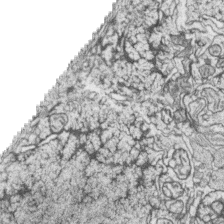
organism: Zebrafish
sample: synaptic ribbons in rod cells and cone cells